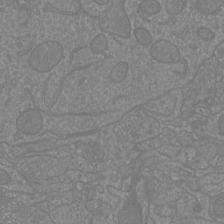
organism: Mouse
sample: Cortical neurons